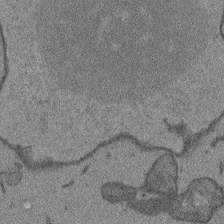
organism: Arabidopsis thaliana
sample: Root tip